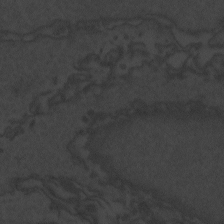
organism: Zebrafish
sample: Macrophage infected with Toxoplasma gondii